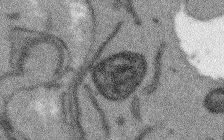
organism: Arabidopsis thaliana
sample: Root tip